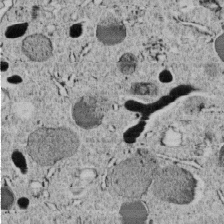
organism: C. elegans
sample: C. elegans embryo early stage